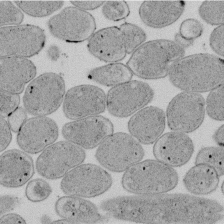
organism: E. coli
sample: Bacterial nucleoid